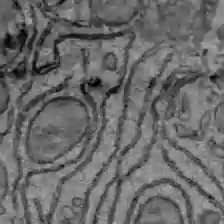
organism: C57BL Mouse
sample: Liver